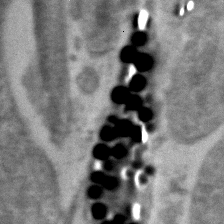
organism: Zebrafish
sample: Zebrafish embryo